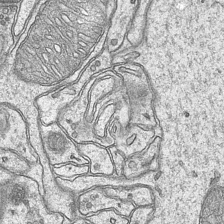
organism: Mouse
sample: CA1 Hippocampus